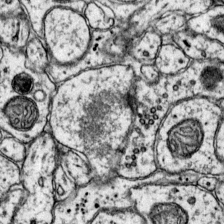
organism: Mouse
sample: Primary visual cortex